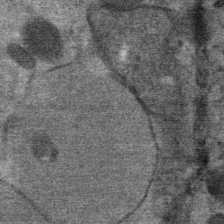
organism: Mouse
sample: Mouse Salivary gland